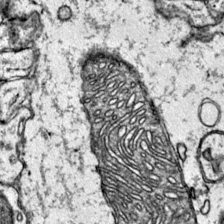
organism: Mouse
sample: Primary visual cortex